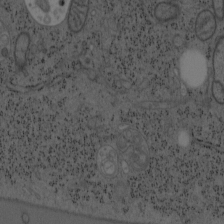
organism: Mouse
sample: OT-I killer T cells with ID8 ovarian cancer cells